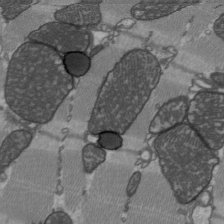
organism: C57BL Mouse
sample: Heart